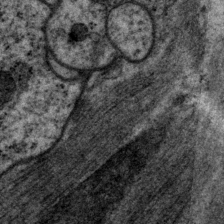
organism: P. pacificus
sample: Pharynx